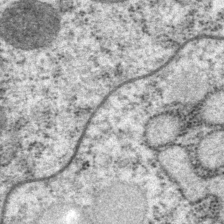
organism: P. pacificus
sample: Pharynx